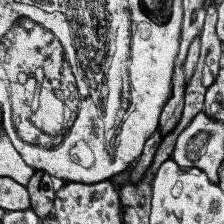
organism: Human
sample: Temporal Lobe